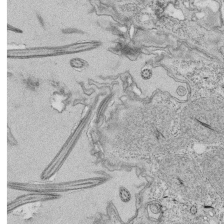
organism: Tetrahymena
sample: Cilia in tetrahymena